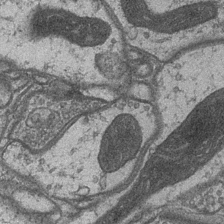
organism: Drosophila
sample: Optic medulla